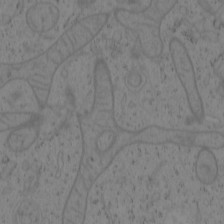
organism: Human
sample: HeLa cells